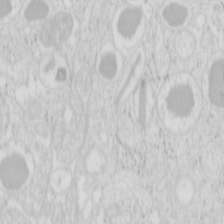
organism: Mouse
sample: Pancreas